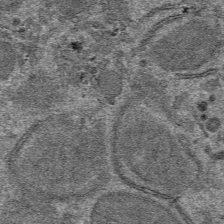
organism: Mouse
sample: Mouse hepatocytes